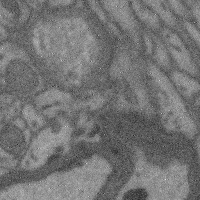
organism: Mouse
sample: Cerebral cortex